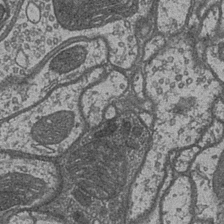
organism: Drosophila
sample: Optic medulla